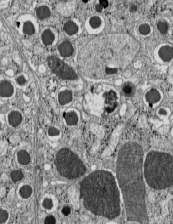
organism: C57BL Mouse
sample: Pancreatic islet